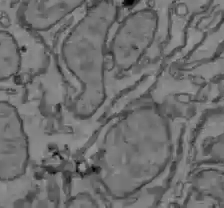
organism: C57BL Mouse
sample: Liver